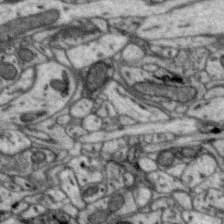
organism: Zebra finch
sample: Brain